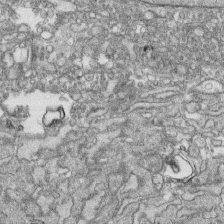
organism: Human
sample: CRL-1474